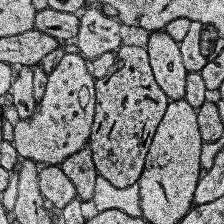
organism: Human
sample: Temporal Lobe